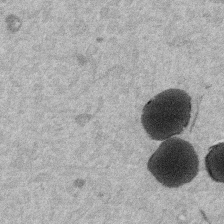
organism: Mouse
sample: Dividing mouse embryo 1 cell stage